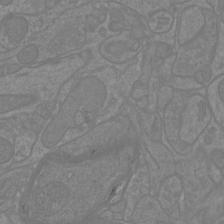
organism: Mouse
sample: Cortical neurons